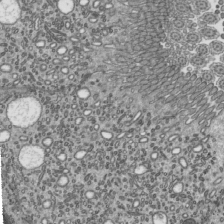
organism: Mouse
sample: Mouse epididymis efferent ductule cilia